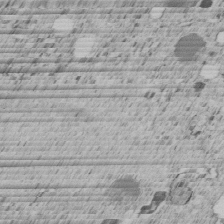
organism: C. elegans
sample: C. elegans embryo early stage